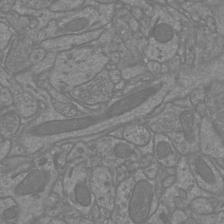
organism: Mouse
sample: Cortical neurons